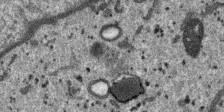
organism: Human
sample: Lung epithelial cells infected with SARS-CoV-2